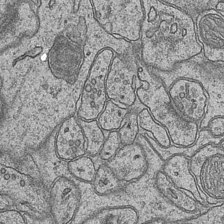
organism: Mouse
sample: CA1 Hippocampus